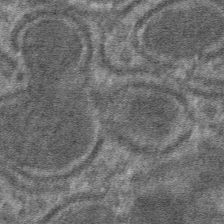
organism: Mouse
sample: Mouse hepatocytes